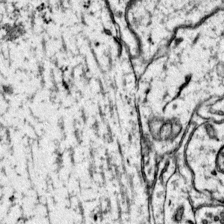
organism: Mouse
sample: Primary visual cortex